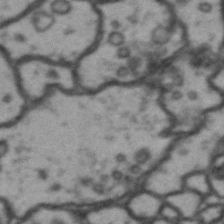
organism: Drosophila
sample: Brain